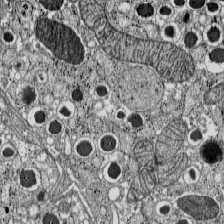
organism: C57BL Mouse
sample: Pancreatic islet